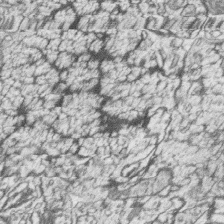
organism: Zebrafish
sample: synaptic ribbons in rod cells and cone cells